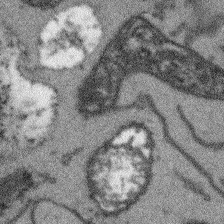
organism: Arabidopsis thaliana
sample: Root tip